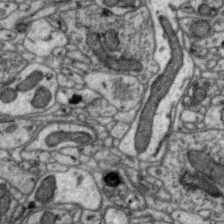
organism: Zebra finch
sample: Brain